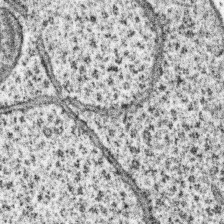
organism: Human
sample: HeLa cells